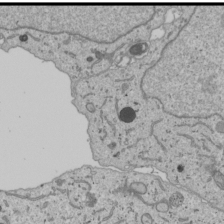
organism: Human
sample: Mitochondria in U2OS cells